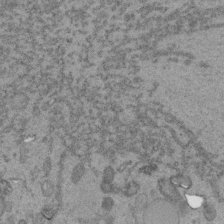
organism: C. elegans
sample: C. elegans embryo early stage